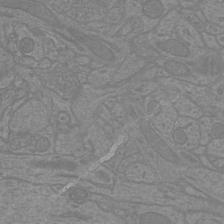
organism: Mouse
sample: Cortical neurons